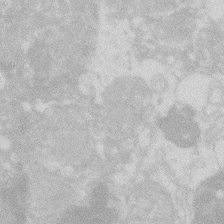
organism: Zebrafish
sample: Macrophage